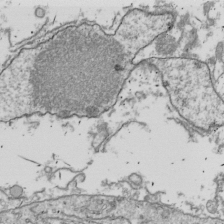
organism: Drosophila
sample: Cell division; meiosis; drosophila spermatocytes